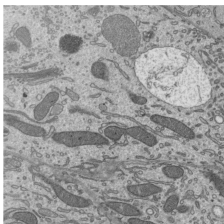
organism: Mouse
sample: Mouse epididymis efferent ductule cilia